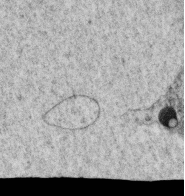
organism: C. elegans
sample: C. elegans oocyte; sperm cells